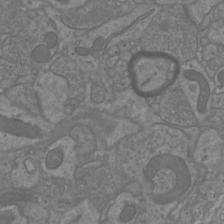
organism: Mouse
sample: Cortical neurons